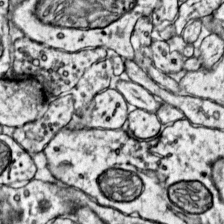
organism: Mouse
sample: Primary visual cortex